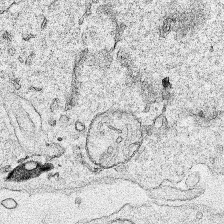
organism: Human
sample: Mitochondria in HCT116 cells